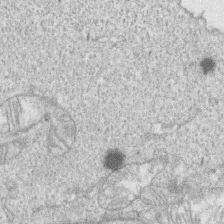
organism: Human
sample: HeLa cell HIV synapse